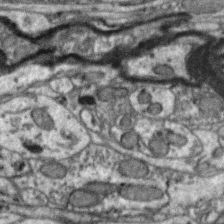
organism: Zebra finch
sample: Brain